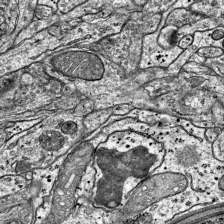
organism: Mouse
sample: Visual Cortex